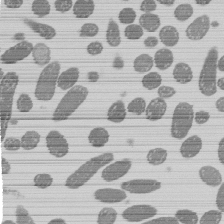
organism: E. coli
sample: Bacterial nucleoid